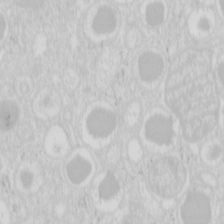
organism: Mouse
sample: Pancreas